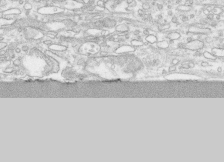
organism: Human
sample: CRL-1474